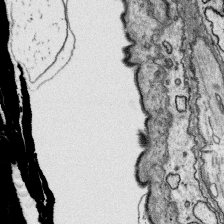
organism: Platynereis dumerilii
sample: Parapodia